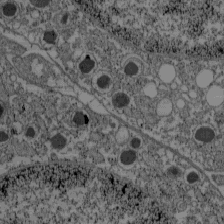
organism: C57BL Mouse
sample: Pancreatic islet